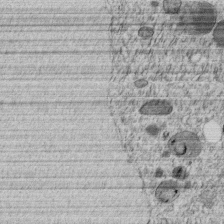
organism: C. elegans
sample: C. elegans embryo early stage